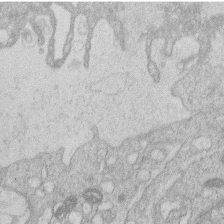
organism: Human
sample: Macrophage cells